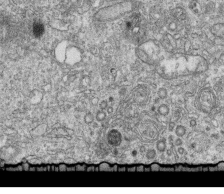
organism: Human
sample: HeLa cell HIV synapse